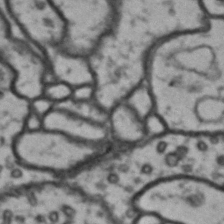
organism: Drosophila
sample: Brain